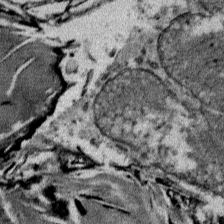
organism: Mouse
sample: Mouse Salivary gland